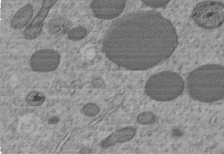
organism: C. elegans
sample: C. elegans embryo early stage